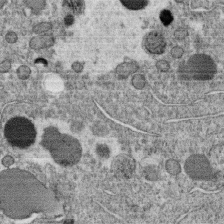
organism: C. elegans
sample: C. elegans oocyte; sperm cells